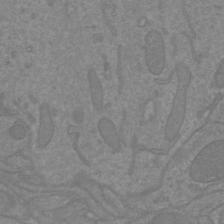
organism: Mouse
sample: Cortical neurons